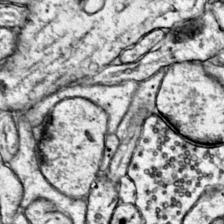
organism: Mouse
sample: Primary visual cortex